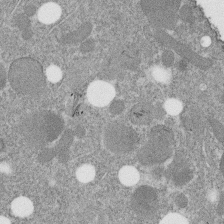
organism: C. elegans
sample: C. elegans embryo early stage